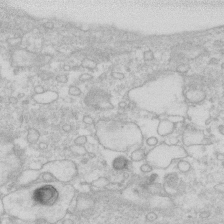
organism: Human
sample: Fibroblast cells